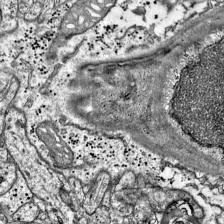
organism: Mouse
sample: Visual Cortex